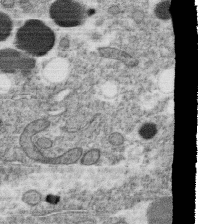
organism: C. elegans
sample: C. elegans oocyte; sperm cells